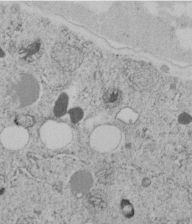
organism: C. elegans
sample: C. elegans embryo early stage